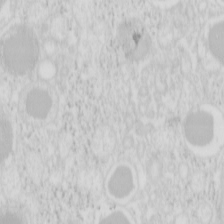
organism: Mouse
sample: Pancreas